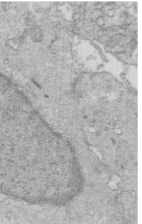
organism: Mouse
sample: Multiciliated cells